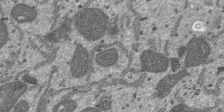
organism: Human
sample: Lung epithelial cells infected with SARS-CoV-2